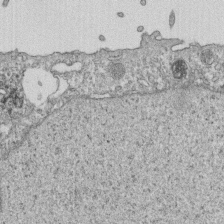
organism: Human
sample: HeLa cell HIV synapse